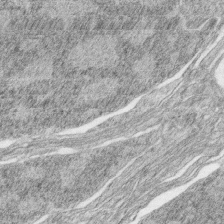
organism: Zebrafish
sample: synaptic ribbons in rod cells and cone cells